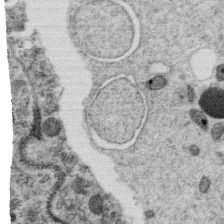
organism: C. elegans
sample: C. elegans oocyte; sperm cells